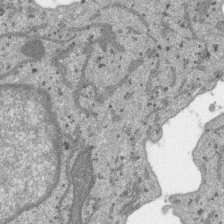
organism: Human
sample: Lung epithelial cells infected with SARS-CoV-2